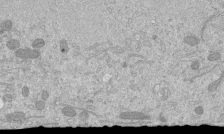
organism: Mouse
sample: ED-1 cell nuclei; centrioles